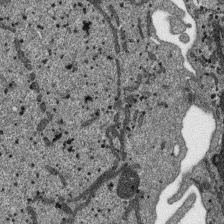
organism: Human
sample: Lung epithelial cells infected with SARS-CoV-2